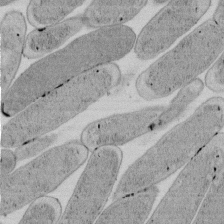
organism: E. coli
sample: Bacterial nucleoid